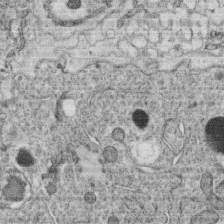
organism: C. elegans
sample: C. elegans oocyte; sperm cells